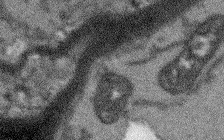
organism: Arabidopsis thaliana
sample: Root tip